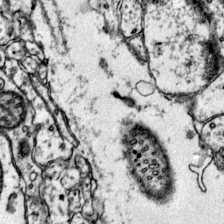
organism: Mouse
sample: Primary visual cortex